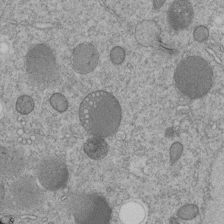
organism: C. elegans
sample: C. elegans embryo early stage